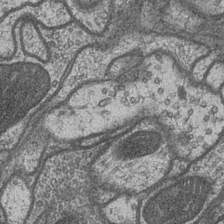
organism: Drosophila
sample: Optic medulla